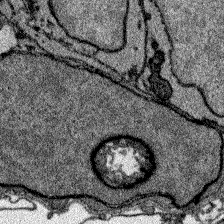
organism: Zebrafish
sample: Larval olfactory bulb